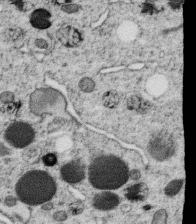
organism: C. elegans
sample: C. elegans oocyte; sperm cells